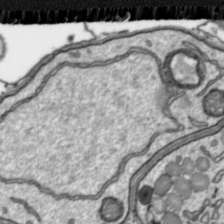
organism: Toxoplasma gondii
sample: Parasites in a vacuole inside a host cell